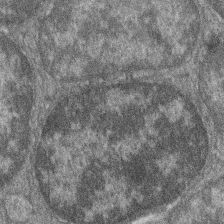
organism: Zebrafish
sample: Cilia; retinal pigment epithelium